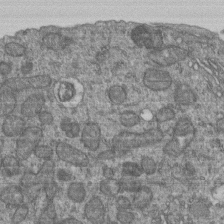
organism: Human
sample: Retinal organoid Rod and Cone cells